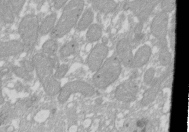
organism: Xenopus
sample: Cilia; centrioles in frog embryo cells